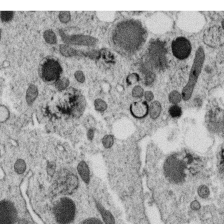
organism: C. elegans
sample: C. elegans oocyte; sperm cells